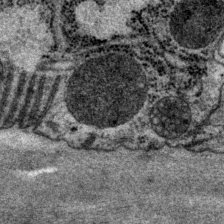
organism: P. pacificus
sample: Pharynx